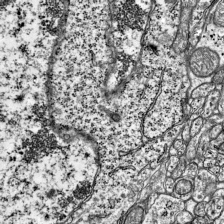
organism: Mouse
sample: Visual Cortex